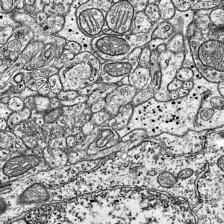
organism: Mouse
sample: Visual Cortex